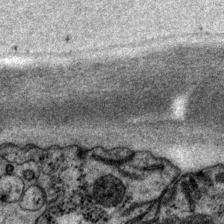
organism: P. pacificus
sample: Pharynx